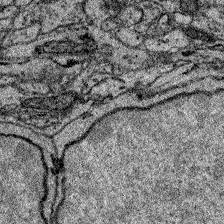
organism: Zebrafish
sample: Larval olfactory bulb